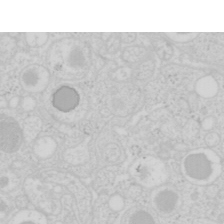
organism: Mouse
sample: Pancreas